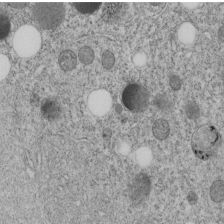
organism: C. elegans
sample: C. elegans embryo early stage